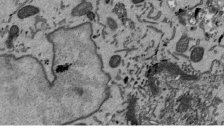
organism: Mouse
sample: ED-1 cell nuclei; centrioles